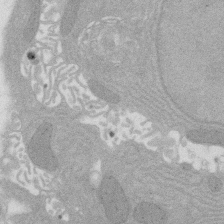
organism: Rat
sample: Salivary granule